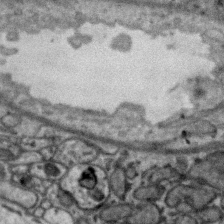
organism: Zebra finch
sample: Brain